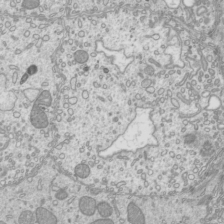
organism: Mouse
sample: Cilia; mouse epididymis